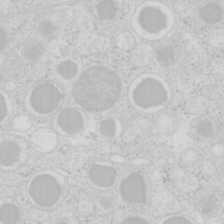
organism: Mouse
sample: Pancreas